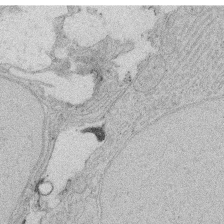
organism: Rat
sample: Salivary granule